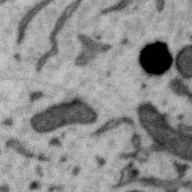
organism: Zebra finch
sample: Brain